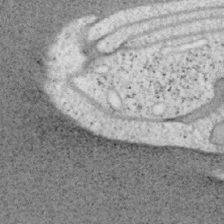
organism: Mouse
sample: OT-I killer T cells with ID8 ovarian cancer cells